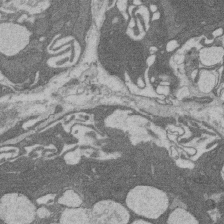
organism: Rat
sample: Salivary granule